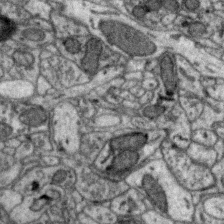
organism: Zebra finch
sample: Brain